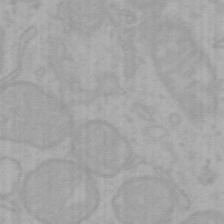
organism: Mouse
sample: Choroid plexus